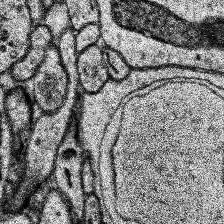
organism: Human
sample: Temporal Lobe